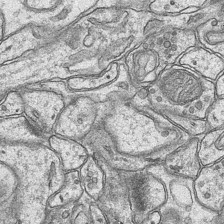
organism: Mouse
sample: CA1 Hippocampus